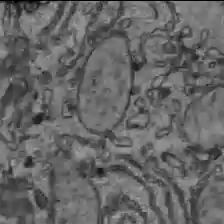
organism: C57BL Mouse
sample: Liver